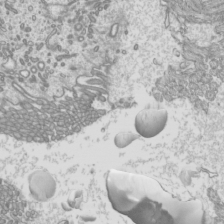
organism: Mouse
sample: Cilia; mouse epididymis